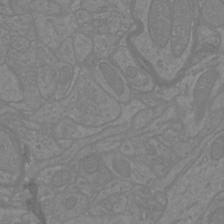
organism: Mouse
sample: Cortical neurons